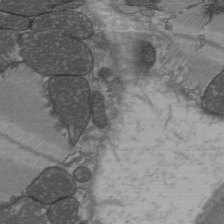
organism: C57BL Mouse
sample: Heart